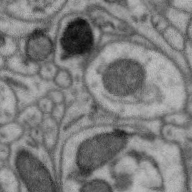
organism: Zebra finch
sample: Brain